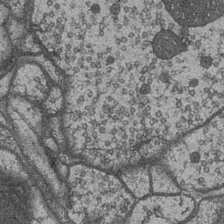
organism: Drosophila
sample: Optic medulla